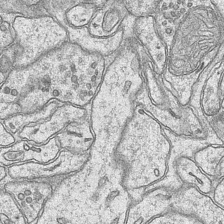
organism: Mouse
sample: CA1 Hippocampus